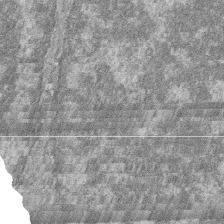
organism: Zebrafish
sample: Cilia; retinal pigment epithelium